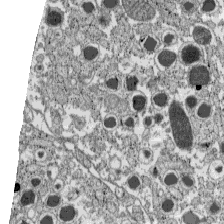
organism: C57BL Mouse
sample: Pancreatic islet